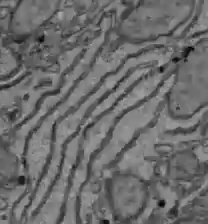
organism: C57BL Mouse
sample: Liver